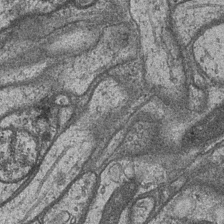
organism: Drosophila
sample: Optic medulla